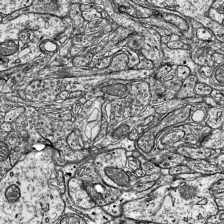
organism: Mouse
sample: Visual Cortex